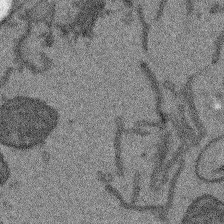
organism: Arabidopsis thaliana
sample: Root tip